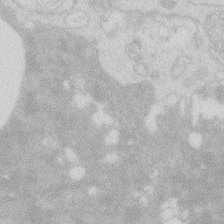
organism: Zebrafish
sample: Macrophage